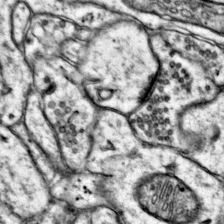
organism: Mouse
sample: Primary visual cortex